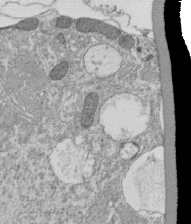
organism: Tetrahymena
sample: Cilia in tetrahymena